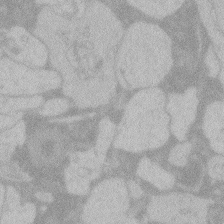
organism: Zebrafish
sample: Macrophage infected with Toxoplasma gondii